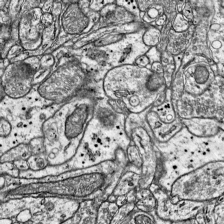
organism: Mouse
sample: Visual Cortex